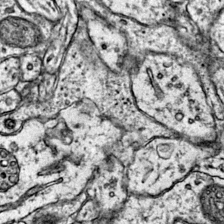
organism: Mouse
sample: Primary visual cortex